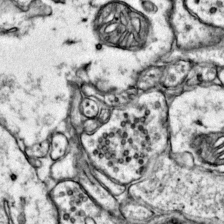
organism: Mouse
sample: Primary visual cortex